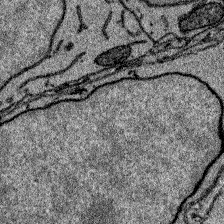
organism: Zebrafish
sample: Larval olfactory bulb